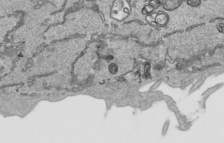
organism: Human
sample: Mitochondria in HCT116 cells